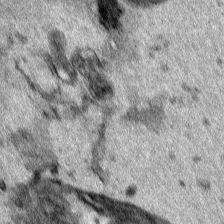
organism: Human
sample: Mitochondria in HCT116 cells